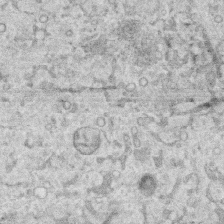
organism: Human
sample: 1205lu cells